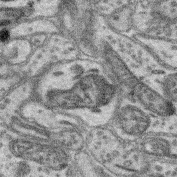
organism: Mouse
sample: Retina